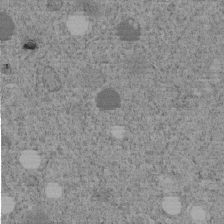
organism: C. elegans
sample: C. elegans embryo early stage